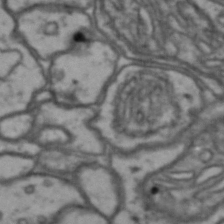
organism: Drosophila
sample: Brain